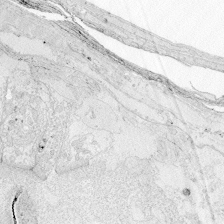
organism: Zebrafish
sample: Whole-Brain